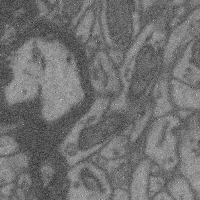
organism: Mouse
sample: Cerebral cortex